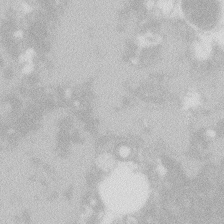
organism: Zebrafish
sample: Macrophage